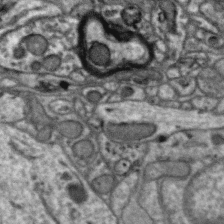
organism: Zebra finch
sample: Brain